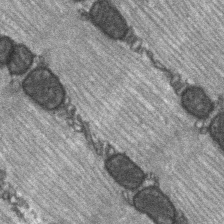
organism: C57BL Mouse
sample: Soleus